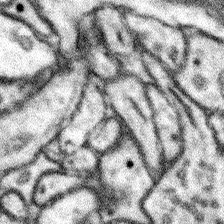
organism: Mouse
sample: Somatosensory cortex neuropil